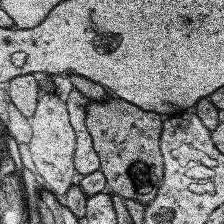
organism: Human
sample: Temporal Lobe